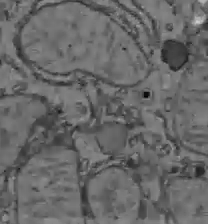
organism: C57BL Mouse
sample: Liver